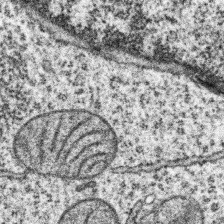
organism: Human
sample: HeLa cells